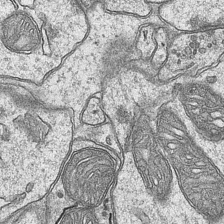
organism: Mouse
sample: CA1 Hippocampus